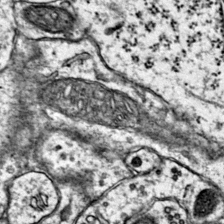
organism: Mouse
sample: Primary visual cortex